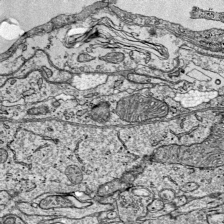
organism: Mouse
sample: Visual Cortex